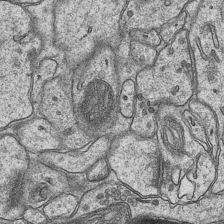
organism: Mouse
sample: CA1 Hippocampus